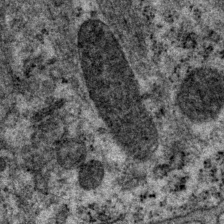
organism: P. pacificus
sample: Pharynx